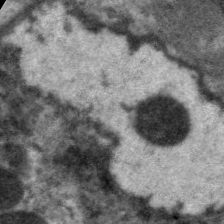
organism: C. elegans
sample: Pharynx